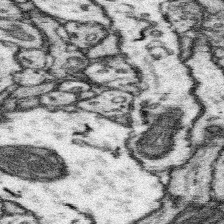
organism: Mouse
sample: Somatosensory cortex neuropil